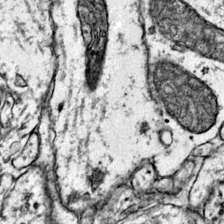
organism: Mouse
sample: Primary visual cortex